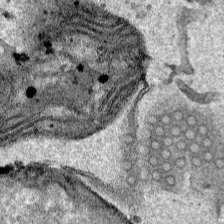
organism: Human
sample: Mitochondria in HCT116 cells